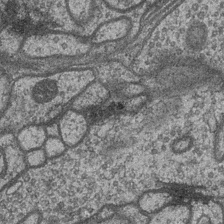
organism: Drosophila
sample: Optic medulla